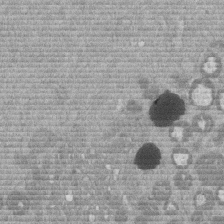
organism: Mouse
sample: Dividing mouse embryo 1 cell stage